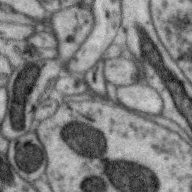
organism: Zebra finch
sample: Brain